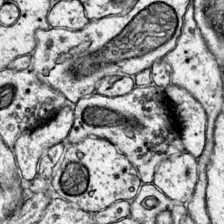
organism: Mouse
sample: Primary visual cortex